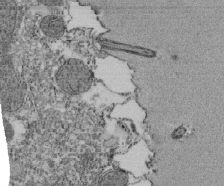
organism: Tetrahymena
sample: Cilia in tetrahymena